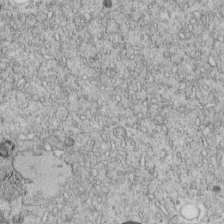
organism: C. elegans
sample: C. elegans embryo early stage